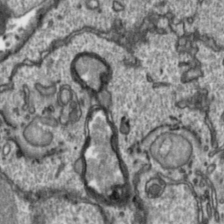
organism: Toxoplasma gondii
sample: Parasites in a vacuole inside a host cell